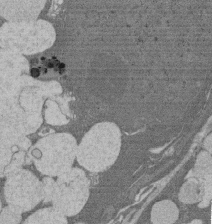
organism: Rat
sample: Salivary granule